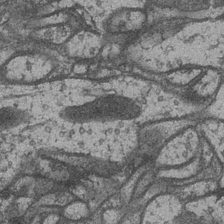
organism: Drosophila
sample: Optic medulla